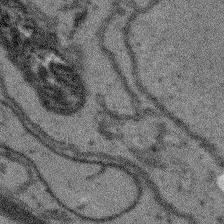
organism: Arabidopsis thaliana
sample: Root tip